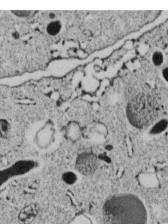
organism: C. elegans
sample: C. elegans embryo early stage